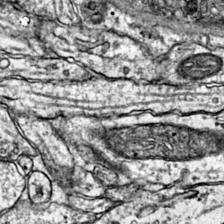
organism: Mouse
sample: Primary visual cortex